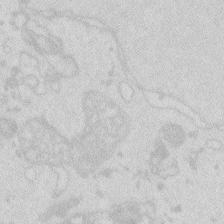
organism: Zebrafish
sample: Macrophage